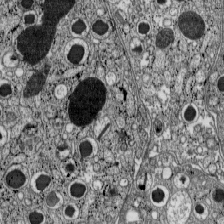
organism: C57BL Mouse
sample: Pancreatic islet